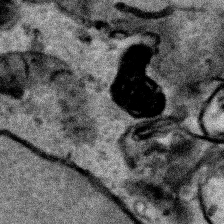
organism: Human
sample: Mitochondria in HCT116 cells